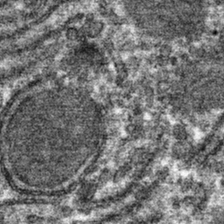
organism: Mouse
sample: Mouse hepatocytes